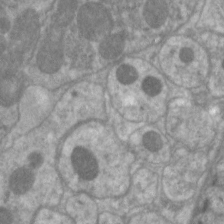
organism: C. elegans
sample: Pharynx